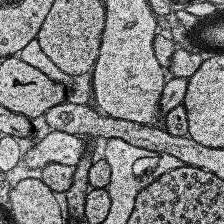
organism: Human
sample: Temporal Lobe